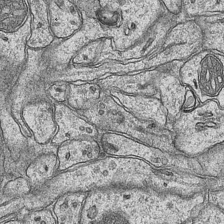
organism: Mouse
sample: CA1 Hippocampus